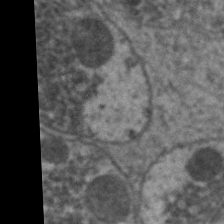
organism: C. elegans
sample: Pharynx